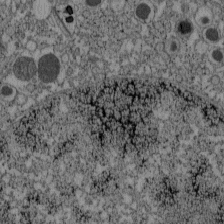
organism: C57BL Mouse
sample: Pancreatic islet